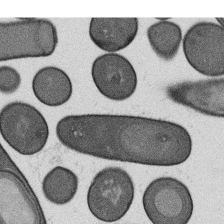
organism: B. subtilis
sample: Bacterial spore